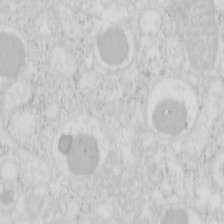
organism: Mouse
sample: Pancreas